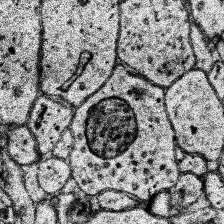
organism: Human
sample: Temporal Lobe